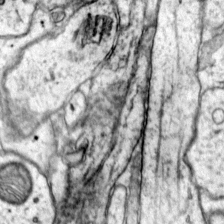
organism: Mouse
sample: Primary visual cortex